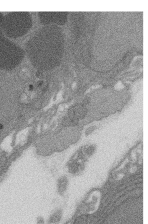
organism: Rat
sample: Salivary granule